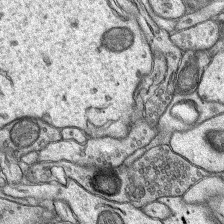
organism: Rat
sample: Hippocampus